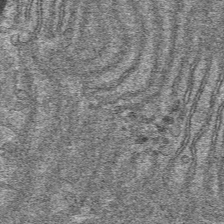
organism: Mouse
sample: Mouse hepatocytes